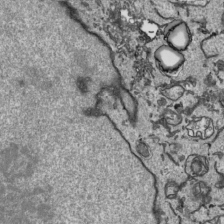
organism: Human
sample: Mitochondria in HCT116 cells